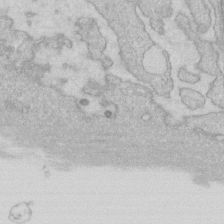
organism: Human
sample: Fibroblast cells